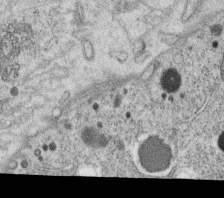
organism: C. elegans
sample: C. elegans oocyte; sperm cells